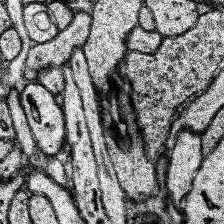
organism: Human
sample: Temporal Lobe